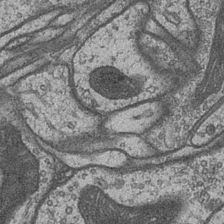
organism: Drosophila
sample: Optic medulla